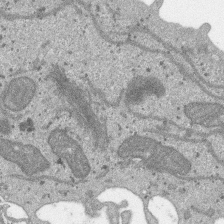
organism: Human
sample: Lung epithelial cells infected with SARS-CoV-2